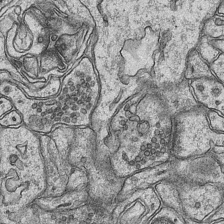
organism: Mouse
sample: CA1 Hippocampus